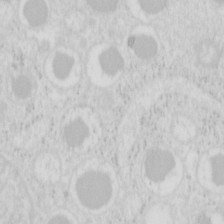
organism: Mouse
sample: Pancreas